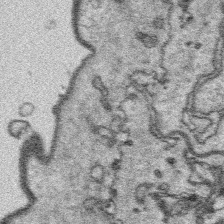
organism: Platynereis dumerilii